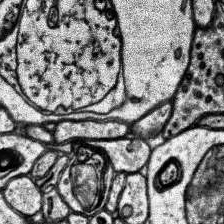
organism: Human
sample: Temporal Lobe